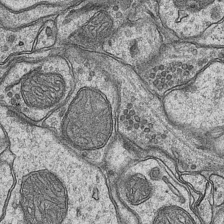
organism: Mouse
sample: CA1 Hippocampus